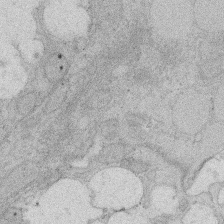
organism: Rat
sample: Salivary granule